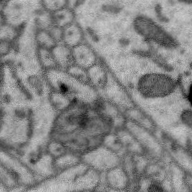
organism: Zebra finch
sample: Brain